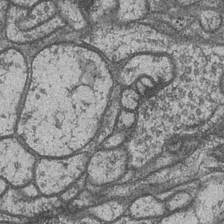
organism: Drosophila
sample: Optic medulla